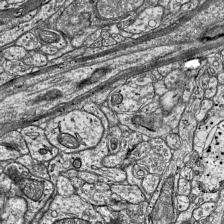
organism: Mouse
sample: Visual Cortex